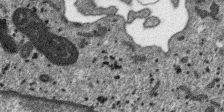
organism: Human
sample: Lung epithelial cells infected with SARS-CoV-2